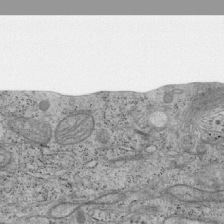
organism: Human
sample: HeLa cells